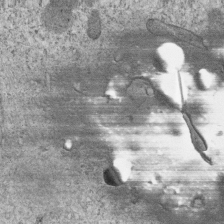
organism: C. elegans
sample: C. elegans embryo early stage